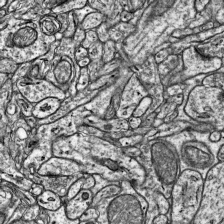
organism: Mouse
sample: Visual Cortex